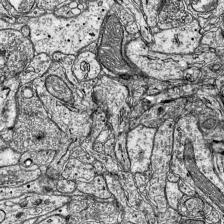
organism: Mouse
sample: Visual Cortex